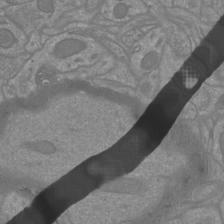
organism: Mouse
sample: Cortical neurons